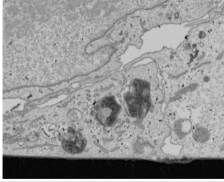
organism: Human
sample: Mitochondria in U2OS cells